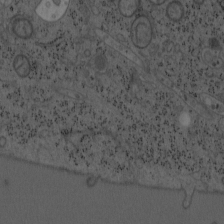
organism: Mouse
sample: OT-I killer T cells with ID8 ovarian cancer cells